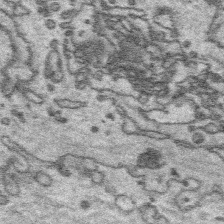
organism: Platynereis dumerilii